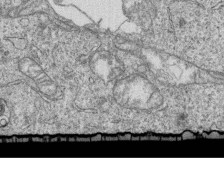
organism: Human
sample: HeLa cell HIV synapse